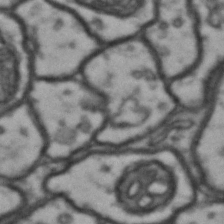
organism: Drosophila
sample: Brain